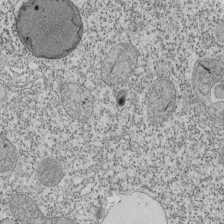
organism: Tetrahymena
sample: Cilia in tetrahymena